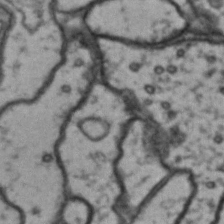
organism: Drosophila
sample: Brain